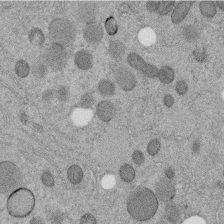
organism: C. elegans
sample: C. elegans embryo early stage